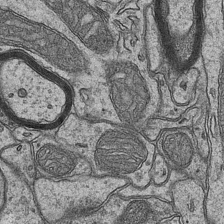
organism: Mouse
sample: CA1 Hippocampus